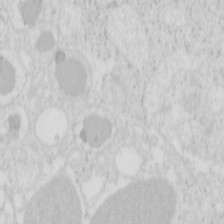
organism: Mouse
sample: Pancreas